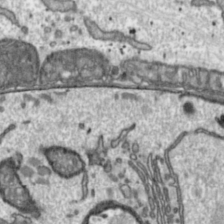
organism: Toxoplasma gondii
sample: Parasites in a vacuole inside a host cell